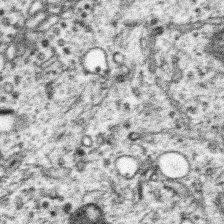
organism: Human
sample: HeLa cells